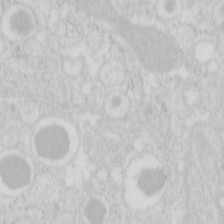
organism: Mouse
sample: Pancreas